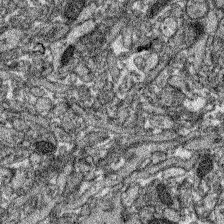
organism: Zebrafish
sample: Larval olfactory bulb